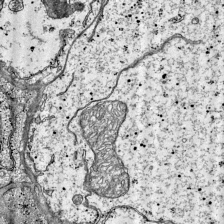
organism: Mouse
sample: Visual Cortex